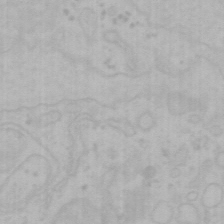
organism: Mouse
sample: Choroid plexus